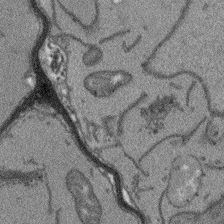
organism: Arabidopsis thaliana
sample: Root tip